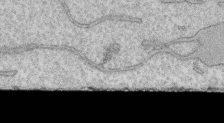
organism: Human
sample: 1205lu cells